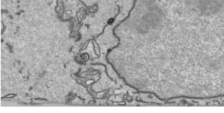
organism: Human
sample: Mitochondria in HCT116 cells